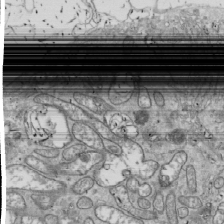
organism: Drosophila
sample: Cell division; meiosis; drosophila spermatocytes